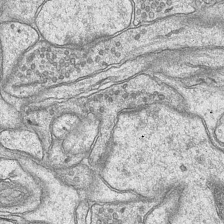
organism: Mouse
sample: CA1 Hippocampus